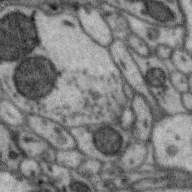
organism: Zebra finch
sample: Brain